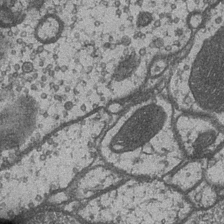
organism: Drosophila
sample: Optic medulla